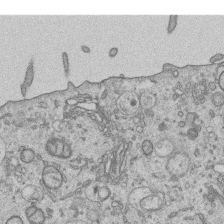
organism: Human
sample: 1205lu cells